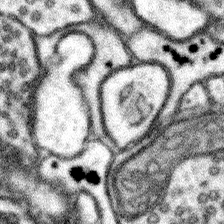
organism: Mouse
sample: Somatosensory cortex neuropil